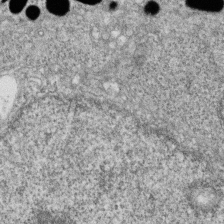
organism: Zebrafish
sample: Cilia; retinal pigment epithelium